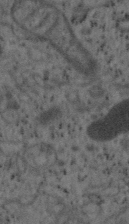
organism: Human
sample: HeLa cells